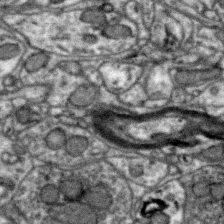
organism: Zebra finch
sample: Brain